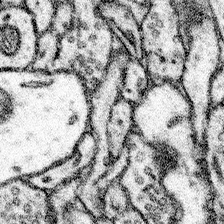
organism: Mouse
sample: Somatosensory cortex neuropil